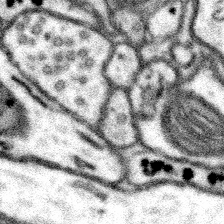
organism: Mouse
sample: Somatosensory cortex neuropil